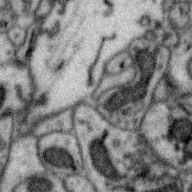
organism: Zebra finch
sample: Brain